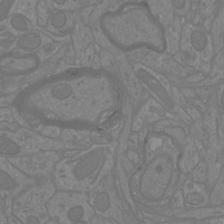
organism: Mouse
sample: Cortical neurons